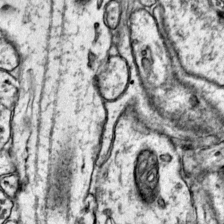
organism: Mouse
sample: Primary visual cortex